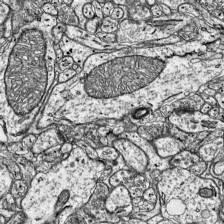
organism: Mouse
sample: Visual Cortex